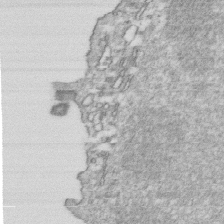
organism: Mouse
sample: Activated OT-1 CD8+ T cells